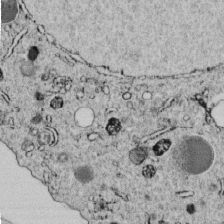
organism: C. elegans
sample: C. elegans embryo early stage